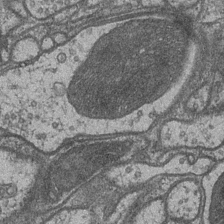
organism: Drosophila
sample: Optic medulla